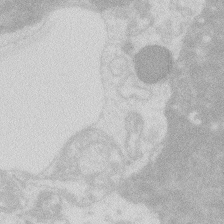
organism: Zebrafish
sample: Macrophage